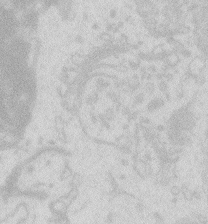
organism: Zebrafish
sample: Macrophage